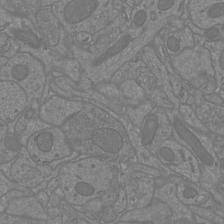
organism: Mouse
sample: Cortical neurons